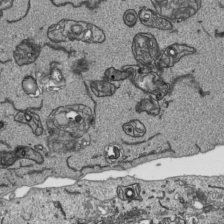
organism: Human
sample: Mitochondria in HCT116 cells